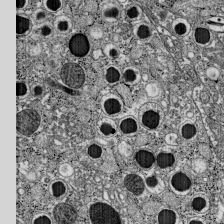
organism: C57BL Mouse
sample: Pancreatic islet